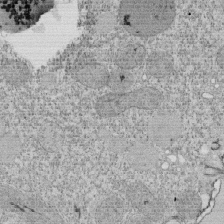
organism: Tetrahymena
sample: Cilia in tetrahymena